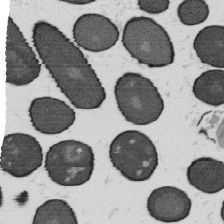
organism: B. subtilis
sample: Bacterial spore